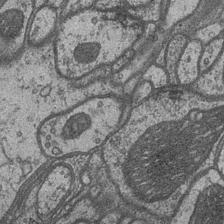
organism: Drosophila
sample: Optic medulla